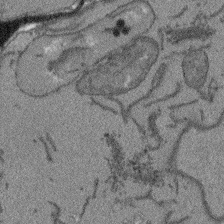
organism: Arabidopsis thaliana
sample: Root tip